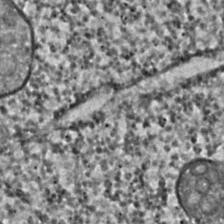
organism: C. elegans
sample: C. elegans embryo